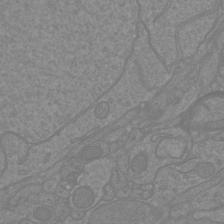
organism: Mouse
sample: Cortical neurons